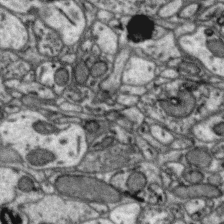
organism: Zebra finch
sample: Brain